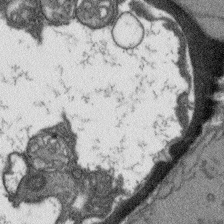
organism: Arabidopsis thaliana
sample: Root tip